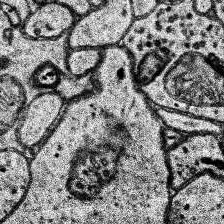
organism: Human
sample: Temporal Lobe